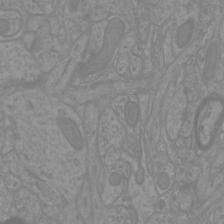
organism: Mouse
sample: Cortical neurons